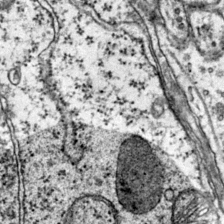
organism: Mouse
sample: Primary visual cortex